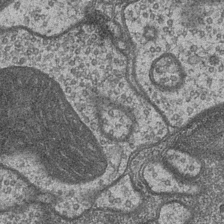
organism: Drosophila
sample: Optic medulla